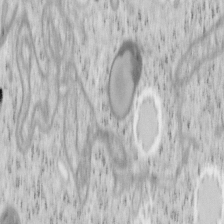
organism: Human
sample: HeLa cells